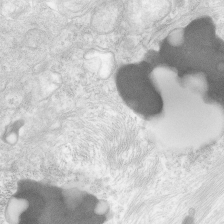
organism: Human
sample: Neocortex